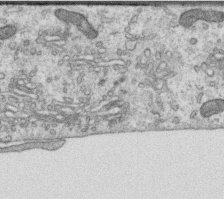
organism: Human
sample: Centriole in RPE cells